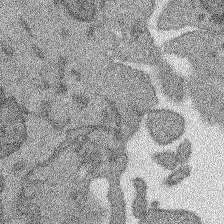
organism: Human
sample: HeLa cells